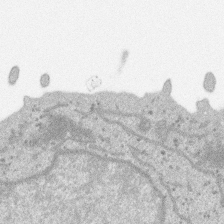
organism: Human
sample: Lung epithelial cells infected with SARS-CoV-2